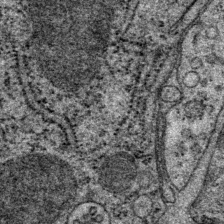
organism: P. pacificus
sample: Pharynx